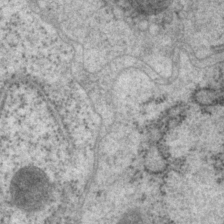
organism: P. pacificus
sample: Pharynx